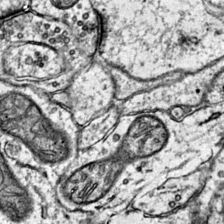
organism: Mouse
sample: Primary visual cortex